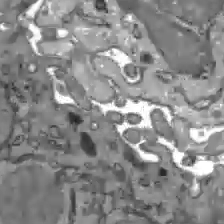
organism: C57BL Mouse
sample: Liver